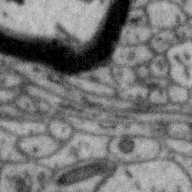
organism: Zebra finch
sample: Brain